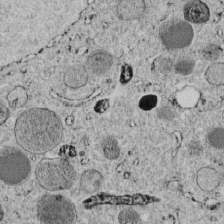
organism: C. elegans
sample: C. elegans embryo early stage